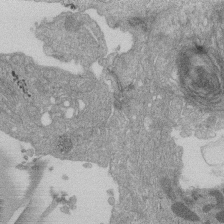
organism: Human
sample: Retinal organoid Rod and Cone cells